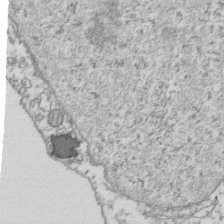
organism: Human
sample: Activated Jurkat CD4+ T cells